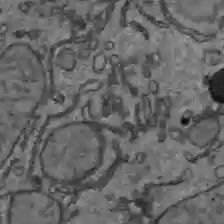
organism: C57BL Mouse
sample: Liver